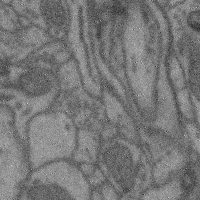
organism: Mouse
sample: Cerebral cortex